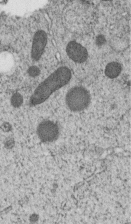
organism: C. elegans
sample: C. elegans embryo early stage